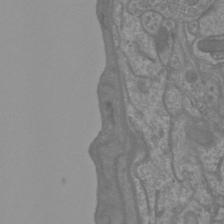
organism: Mouse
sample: Cortical neurons